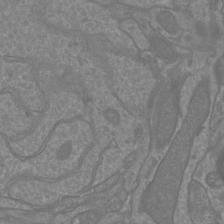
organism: Mouse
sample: Cortical neurons